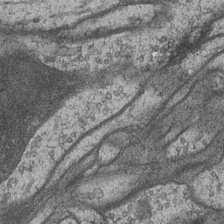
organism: Drosophila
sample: Optic medulla